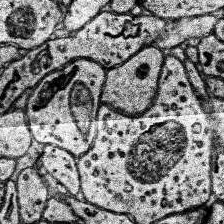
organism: Human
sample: Temporal Lobe